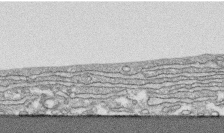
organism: Human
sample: CRL-1474